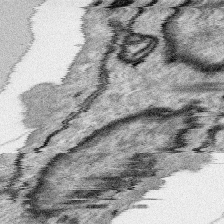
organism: Human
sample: HeLa cells